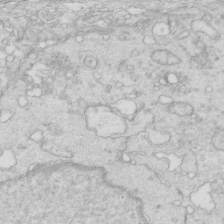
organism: Mouse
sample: Multiciliated cells